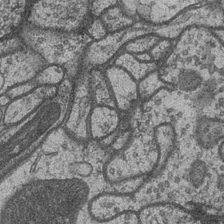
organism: Drosophila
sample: Optic medulla